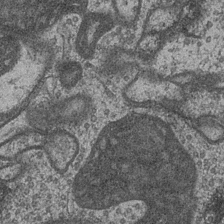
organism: Drosophila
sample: Optic medulla